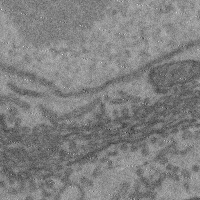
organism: Mouse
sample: Cerebral cortex